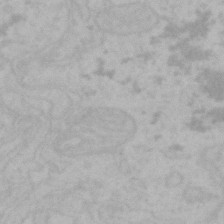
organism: Mouse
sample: Choroid plexus